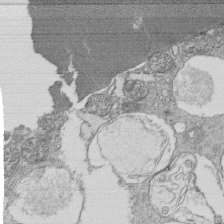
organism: Tetrahymena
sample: Cilia in tetrahymena